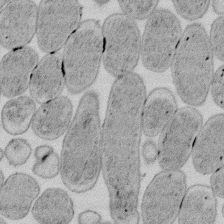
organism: E. coli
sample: Bacterial nucleoid